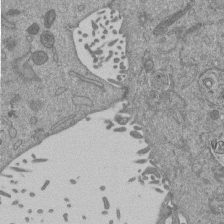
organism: Mouse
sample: ED-1 cell nuclei; centrioles